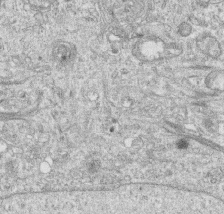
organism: Human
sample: HeLa cell HIV synapse